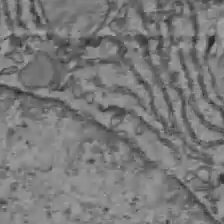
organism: C57BL Mouse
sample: Liver